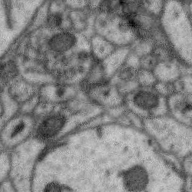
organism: Zebra finch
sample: Brain